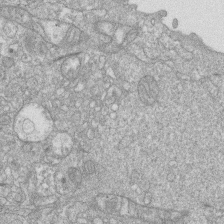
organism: Human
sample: HeLa cell HIV synapse